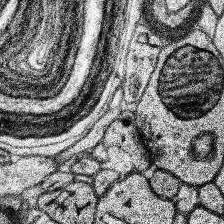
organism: Human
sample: Temporal Lobe